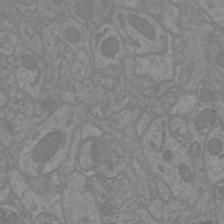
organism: Mouse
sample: Cortical neurons